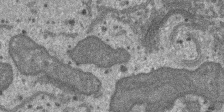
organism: Human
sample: Lung epithelial cells infected with SARS-CoV-2